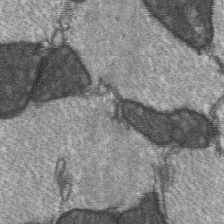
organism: C57BL Mouse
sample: Soleus